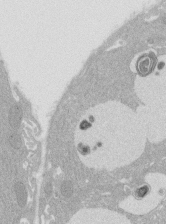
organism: Rat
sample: Salivary granule